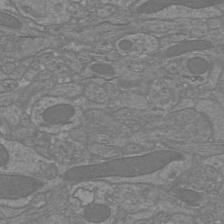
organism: Mouse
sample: Cortical neurons